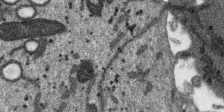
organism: Human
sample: Lung epithelial cells infected with SARS-CoV-2